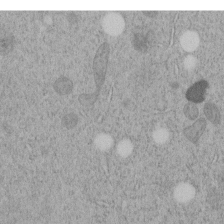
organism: C. elegans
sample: C. elegans embryo early stage